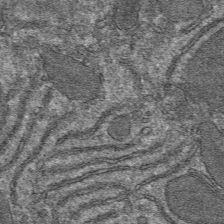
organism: Mouse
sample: Mouse hepatocytes